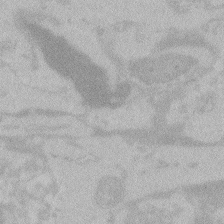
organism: Zebrafish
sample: Macrophage infected with Toxoplasma gondii